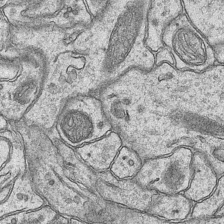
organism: Mouse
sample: CA1 Hippocampus